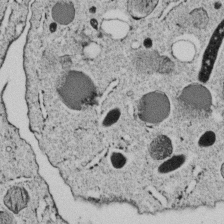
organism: C. elegans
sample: C. elegans embryo early stage